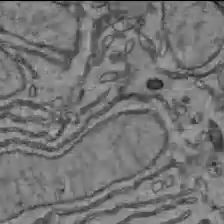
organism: C57BL Mouse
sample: Liver